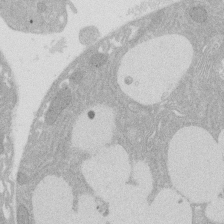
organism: Rat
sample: Salivary granule